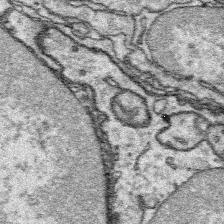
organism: Platynereis dumerilii